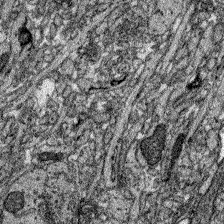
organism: Zebrafish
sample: Larval olfactory bulb